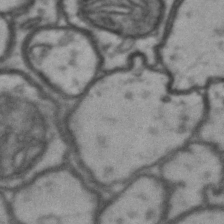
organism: Drosophila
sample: Brain